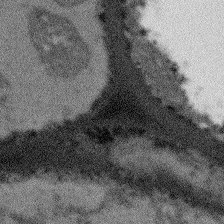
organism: Arabidopsis thaliana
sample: Root tip